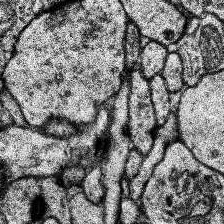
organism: Human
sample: Temporal Lobe